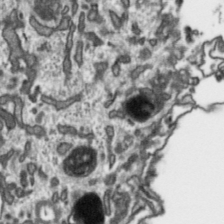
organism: Toxoplasma gondii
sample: Parasites in a vacuole inside a host cell